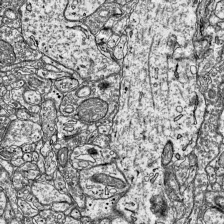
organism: Mouse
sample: Visual Cortex